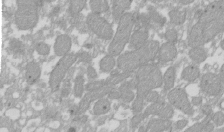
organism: Xenopus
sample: Cilia; centrioles in frog embryo cells